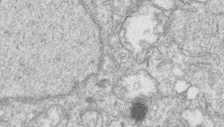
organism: Human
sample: HeLa cell HIV synapse